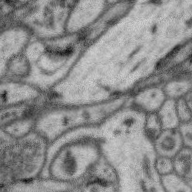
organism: Zebra finch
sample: Brain